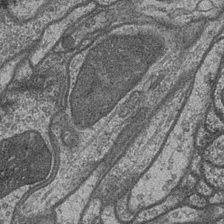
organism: Drosophila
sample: Optic medulla